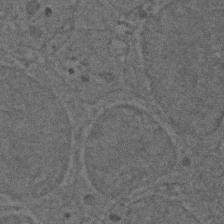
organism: Zebrafish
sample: Zebrafish embryo